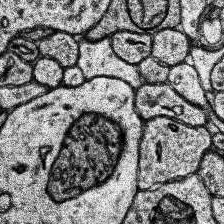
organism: Human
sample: Temporal Lobe